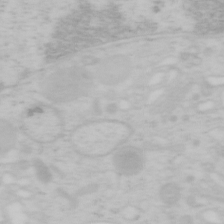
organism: Mouse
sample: OT-I killer T cells with ID8 ovarian cancer cells